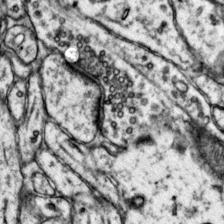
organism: Mouse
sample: Primary visual cortex